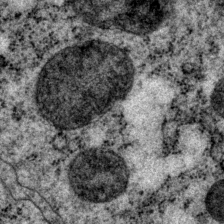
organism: P. pacificus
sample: Pharynx